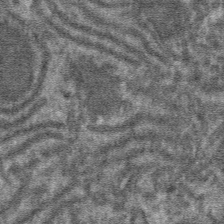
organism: Mouse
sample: Mouse hepatocytes